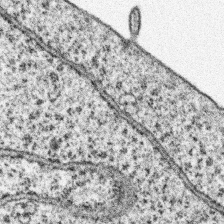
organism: Human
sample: HeLa cells